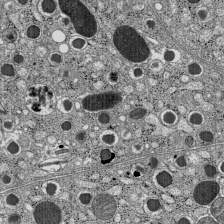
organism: C57BL Mouse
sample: Pancreatic islet